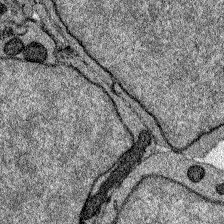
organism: Zebrafish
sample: Larval olfactory bulb